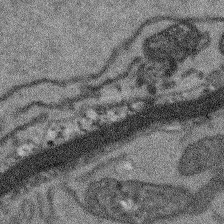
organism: Arabidopsis thaliana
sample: Root tip